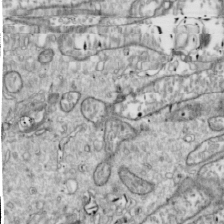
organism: Drosophila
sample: Cell division; meiosis; drosophila spermatocytes